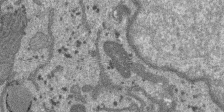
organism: Human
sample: Lung epithelial cells infected with SARS-CoV-2